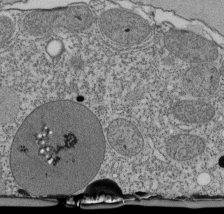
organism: Tetrahymena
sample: Cilia in tetrahymena